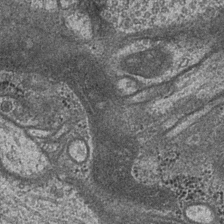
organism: Drosophila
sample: Optic medulla